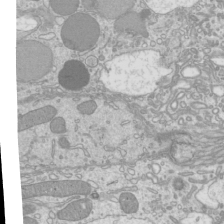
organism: Mouse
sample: Cilia; mouse epididymis